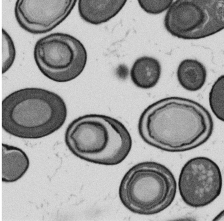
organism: B. subtilis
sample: Bacterial spore